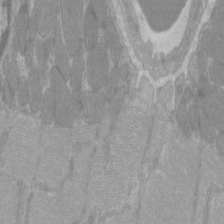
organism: C57BL Mouse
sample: Tibialis anterior muscle cell